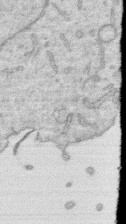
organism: Human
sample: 1205lu cells